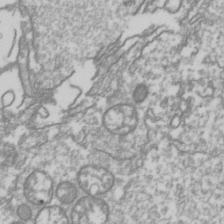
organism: Drosophila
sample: Cell division; meiosis; drosophila spermatocytes